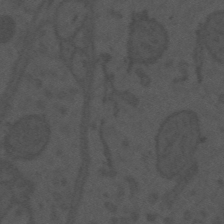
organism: Mouse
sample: Suprachiasmatic nucleus